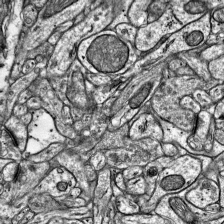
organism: Mouse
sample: Visual Cortex